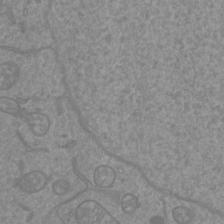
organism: Mouse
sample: Cortical neurons